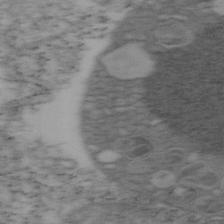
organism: Mouse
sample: OT-I killer T cells with ID8 ovarian cancer cells